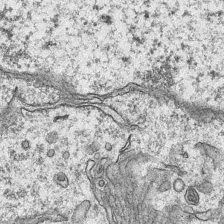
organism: Mouse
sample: CA1 Hippocampus